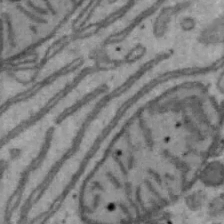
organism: Mouse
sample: Liver